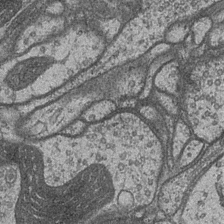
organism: Drosophila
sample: Optic medulla